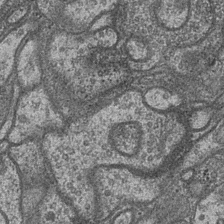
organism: Drosophila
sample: Optic medulla